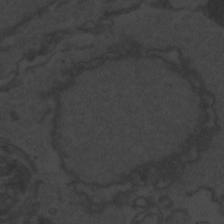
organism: Zebrafish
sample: Macrophage infected with Toxoplasma gondii